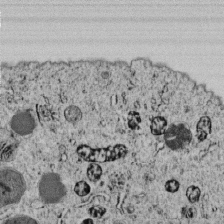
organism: C. elegans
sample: C. elegans embryo early stage